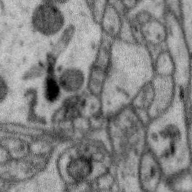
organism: Zebra finch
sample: Brain